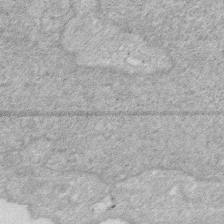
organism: Human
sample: HIV infected U937 cells